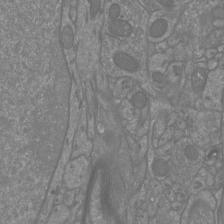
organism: Mouse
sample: Cortical neurons